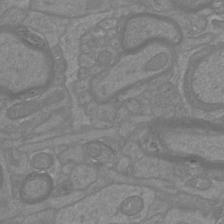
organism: Mouse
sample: Cortical neurons